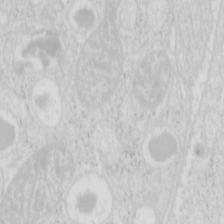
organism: Mouse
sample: Pancreas